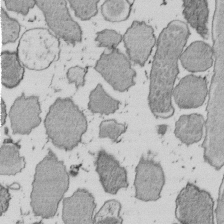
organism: E. coli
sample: Bacterial nucleoid